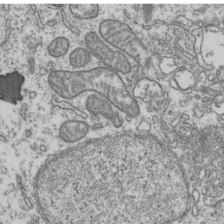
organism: Human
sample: Activated Jurkat CD4+ T cells